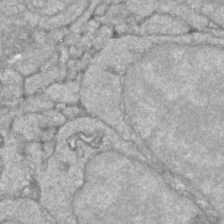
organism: Zebrafish